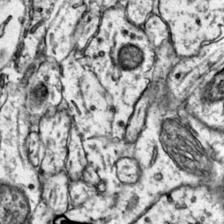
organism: Mouse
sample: Primary visual cortex